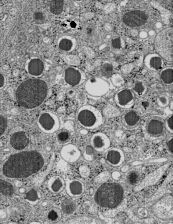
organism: C57BL Mouse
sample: Pancreatic islet